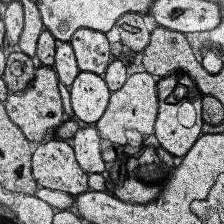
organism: Human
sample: Temporal Lobe